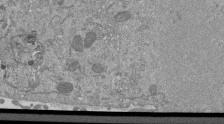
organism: Mouse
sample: ED-1 cell nuclei; centrioles